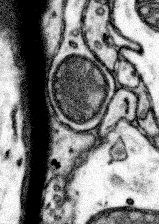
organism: Mouse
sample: Somatosensory cortex neuropil